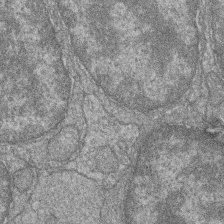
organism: Zebrafish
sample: Cilia; retinal pigment epithelium